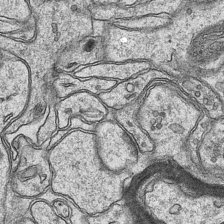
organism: Mouse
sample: CA1 Hippocampus